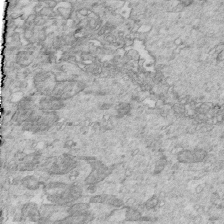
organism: Mouse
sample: Multiciliated cells